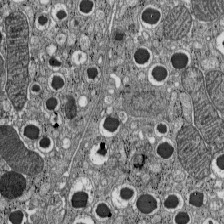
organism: C57BL Mouse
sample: Pancreatic islet